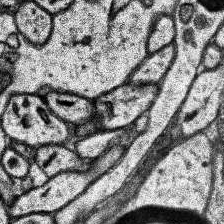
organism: Human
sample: Temporal Lobe